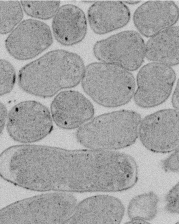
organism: E. coli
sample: Bacterial nucleoid